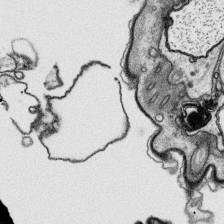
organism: Platynereis dumerilii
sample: Parapodia